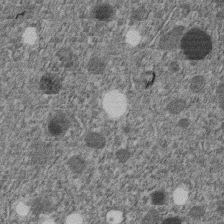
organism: C. elegans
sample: C. elegans embryo early stage